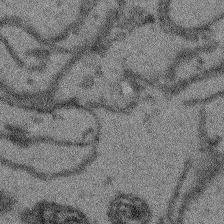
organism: Arabidopsis thaliana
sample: Root tip